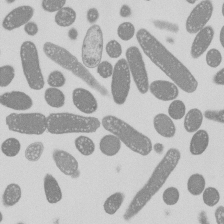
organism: E. coli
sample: Bacterial nucleoid